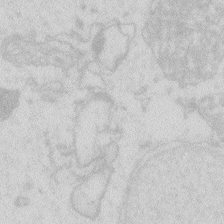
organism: Zebrafish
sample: Macrophage